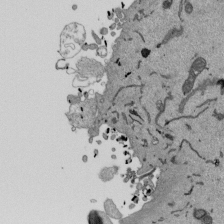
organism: Mouse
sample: ED-1 cell nuclei; centrioles